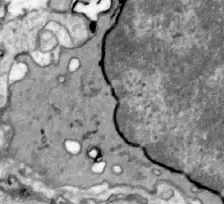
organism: Zebrafish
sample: Actinotrichia fibers